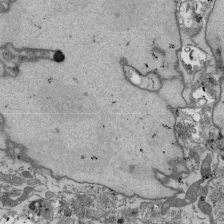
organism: Mouse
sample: ED-1 cell nuclei; centrioles